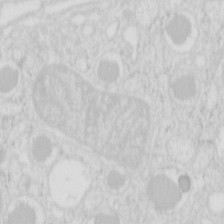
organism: Mouse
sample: Pancreas